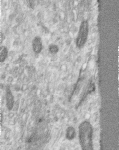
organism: Human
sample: Centriole in RPE cells